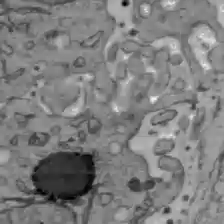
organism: C57BL Mouse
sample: Liver